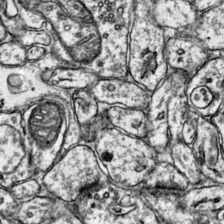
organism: Mouse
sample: Primary visual cortex